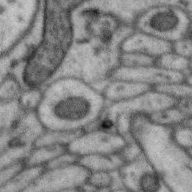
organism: Zebra finch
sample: Brain